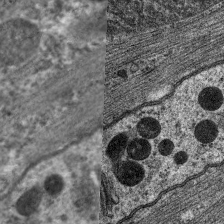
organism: C. elegans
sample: Pharynx